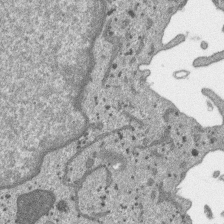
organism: Human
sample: Lung epithelial cells infected with SARS-CoV-2